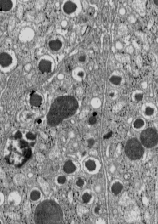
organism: C57BL Mouse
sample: Pancreatic islet